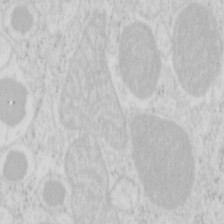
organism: Mouse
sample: Pancreas